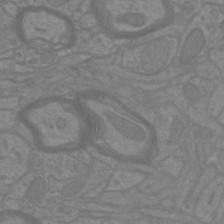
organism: Mouse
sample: Cortical neurons